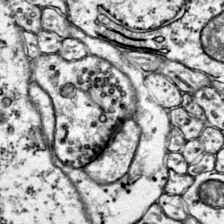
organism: Mouse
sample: Primary visual cortex